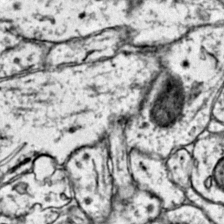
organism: Mouse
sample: Primary visual cortex